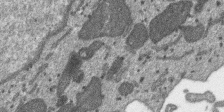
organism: Human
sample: Lung epithelial cells infected with SARS-CoV-2